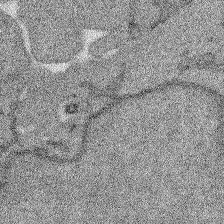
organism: Human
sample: HeLa cells